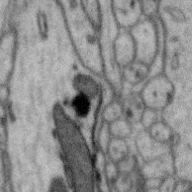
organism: Zebra finch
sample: Brain